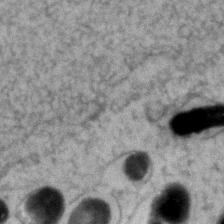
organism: Zebrafish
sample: Zebrafish embryo